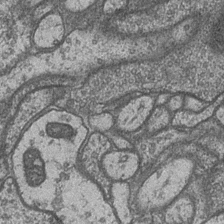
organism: Drosophila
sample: Optic medulla